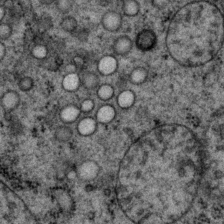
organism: P. pacificus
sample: Pharynx